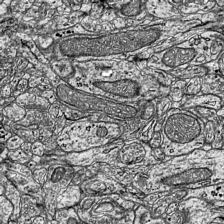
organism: Mouse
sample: Visual Cortex